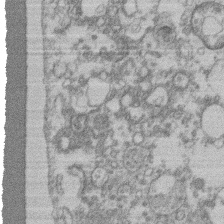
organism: Mouse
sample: T cell stromal cell synapse